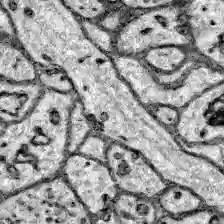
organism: Zebrafish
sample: Brain